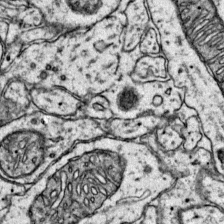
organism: Mouse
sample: Primary visual cortex